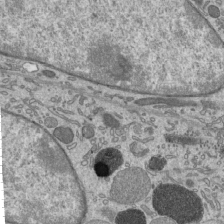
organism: Mouse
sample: Mouse epididymis efferent ductule cilia